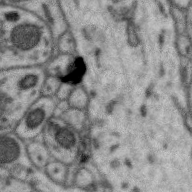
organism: Zebra finch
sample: Brain